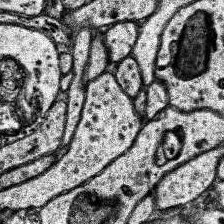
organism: Human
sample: Temporal Lobe